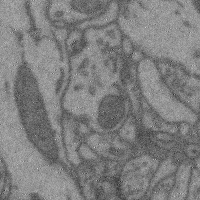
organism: Mouse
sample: Cerebral cortex